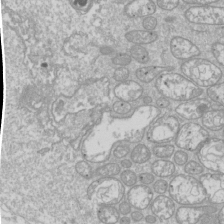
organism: Drosophila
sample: Cell division; meiosis; drosophila spermatocytes